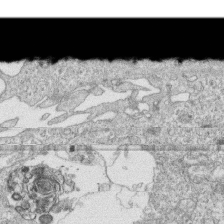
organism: Human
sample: HeLa cell HIV synapse